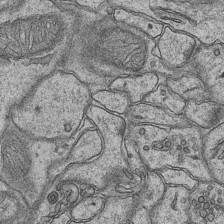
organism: Mouse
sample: CA1 Hippocampus